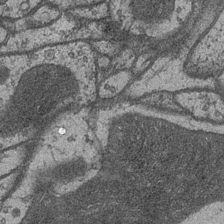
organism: Drosophila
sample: Optic medulla